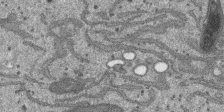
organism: Human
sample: Lung epithelial cells infected with SARS-CoV-2